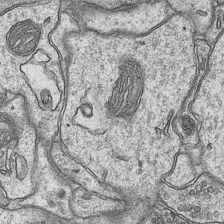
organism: Mouse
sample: CA1 Hippocampus